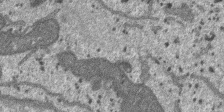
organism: Human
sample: Lung epithelial cells infected with SARS-CoV-2